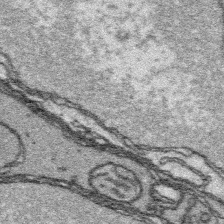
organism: Platynereis dumerilii